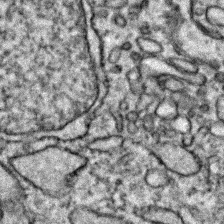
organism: Zebrafish